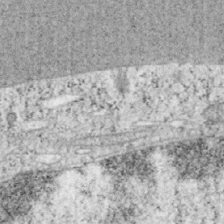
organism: Mouse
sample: OT-I killer T cells with ID8 ovarian cancer cells